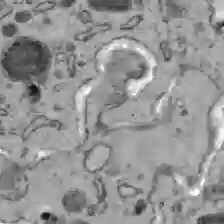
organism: C57BL Mouse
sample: Liver